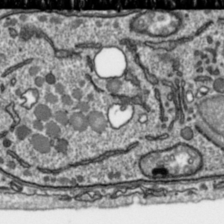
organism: Toxoplasma gondii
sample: Parasites in a vacuole inside a host cell